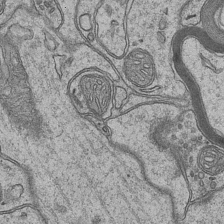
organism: Mouse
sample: CA1 Hippocampus